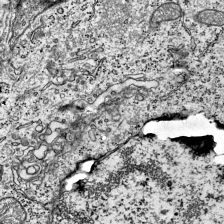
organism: Mouse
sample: Visual Cortex